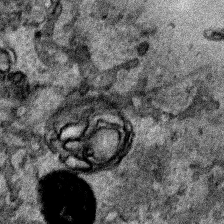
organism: Human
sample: Mitochondria in HCT116 cells